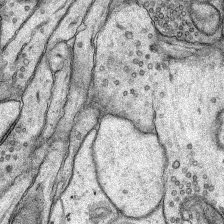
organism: Rat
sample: Hippocampus